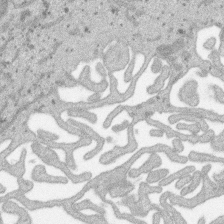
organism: Human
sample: Lung epithelial cells infected with SARS-CoV-2